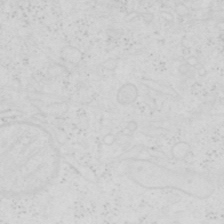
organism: Human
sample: SUM-159 cell